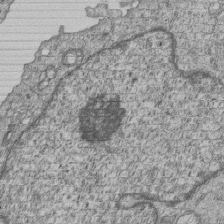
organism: Human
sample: MDA-MB-231 cells